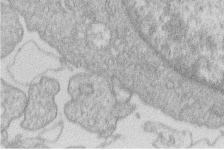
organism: Human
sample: Macrophage cells